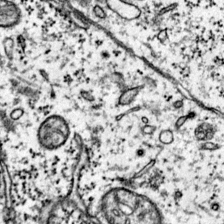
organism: Mouse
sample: Primary visual cortex